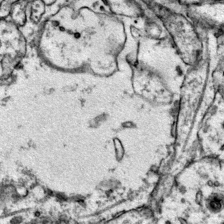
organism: Mouse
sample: Primary visual cortex